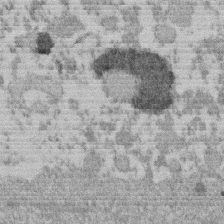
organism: Mouse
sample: Dividing mouse embryo 1 cell stage